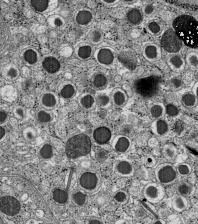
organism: C57BL Mouse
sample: Pancreatic islet